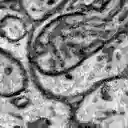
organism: Zebrafish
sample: Brain